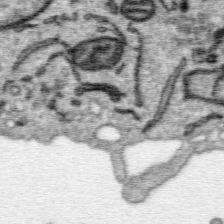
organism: Human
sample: HeLa cells